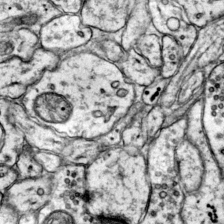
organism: Mouse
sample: Primary visual cortex